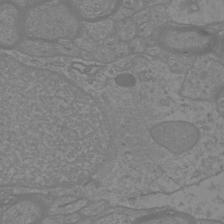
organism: Mouse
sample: Cortical neurons